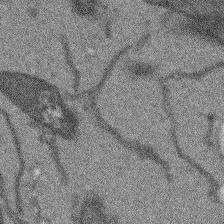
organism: Arabidopsis thaliana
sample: Root tip